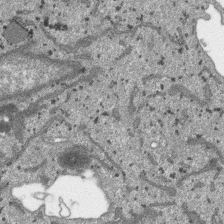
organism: Human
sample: Lung epithelial cells infected with SARS-CoV-2